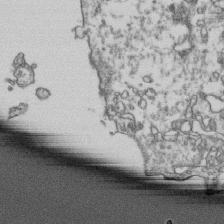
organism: Human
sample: Activated Jurkat CD4+ T cells